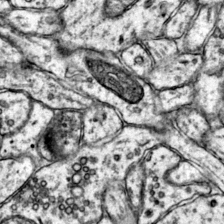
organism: Mouse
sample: Primary visual cortex